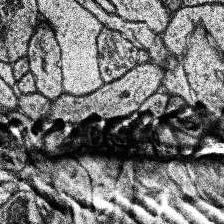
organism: Human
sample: Temporal Lobe